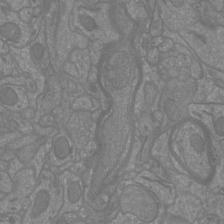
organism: Mouse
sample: Cortical neurons